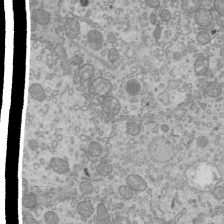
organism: Mouse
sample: Cilia; mouse epididymis